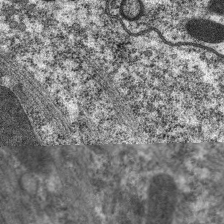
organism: C. elegans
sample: Pharynx